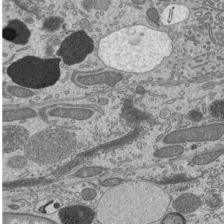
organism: Mouse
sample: Mouse epididymis efferent ductule cilia